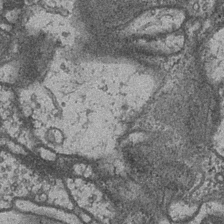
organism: Drosophila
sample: Optic medulla